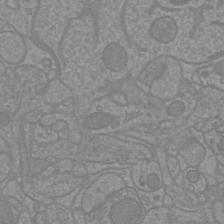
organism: Mouse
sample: Cortical neurons